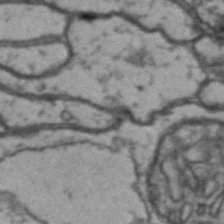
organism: Drosophila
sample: Brain